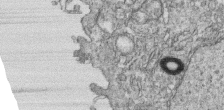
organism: Human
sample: HeLa cell HIV synapse